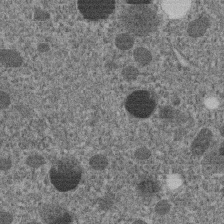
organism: C. elegans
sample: C. elegans embryo early stage